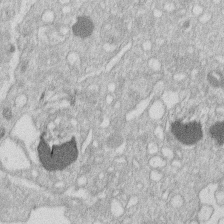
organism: Human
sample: Macrophage cells